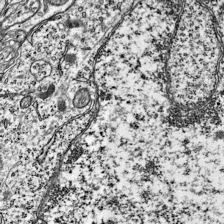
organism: Mouse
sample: Visual Cortex